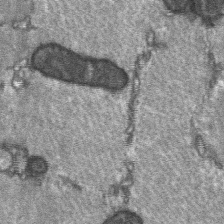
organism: C57BL Mouse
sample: Soleus